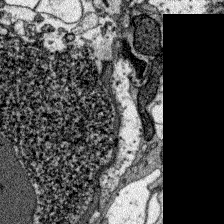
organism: Zebrafish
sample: Larval olfactory bulb